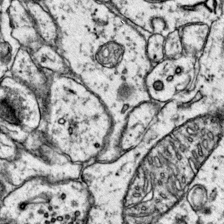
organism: Mouse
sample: Primary visual cortex